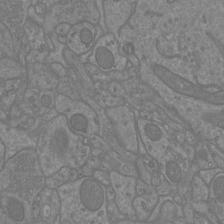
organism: Mouse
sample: Cortical neurons